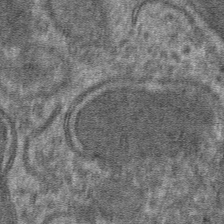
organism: Mouse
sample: Mouse hepatocytes